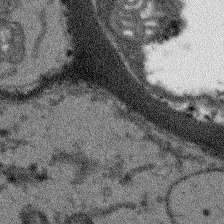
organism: Arabidopsis thaliana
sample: Root tip